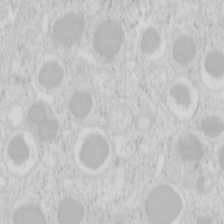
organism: Mouse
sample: Pancreas